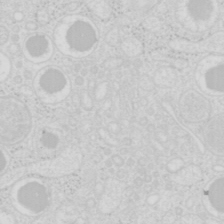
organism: Mouse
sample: Pancreas